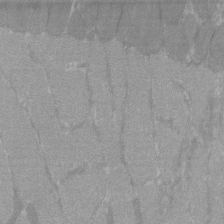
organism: C57BL Mouse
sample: Tibialis anterior muscle cell